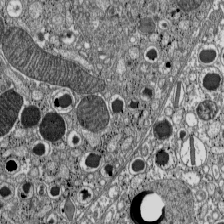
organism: C57BL Mouse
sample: Pancreatic islet